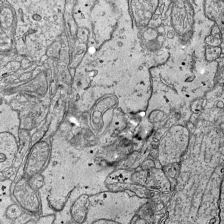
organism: Mouse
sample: Visual Cortex